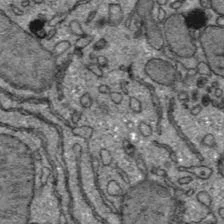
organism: C57BL Mouse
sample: Liver